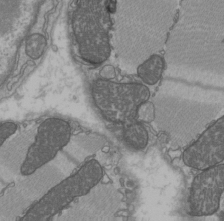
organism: C57BL Mouse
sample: Heart